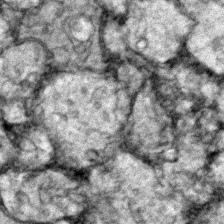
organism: Zebrafish